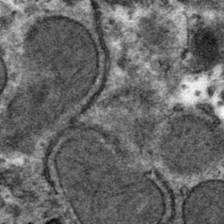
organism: Mouse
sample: Mouse hepatocytes